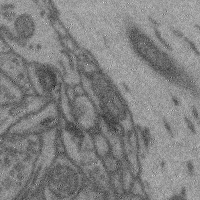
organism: Mouse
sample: Cerebral cortex